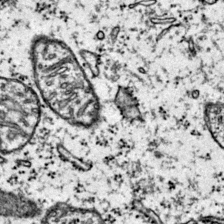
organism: Mouse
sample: Primary visual cortex